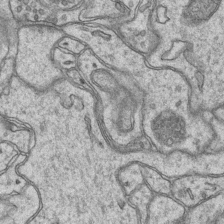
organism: Mouse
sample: CA1 Hippocampus